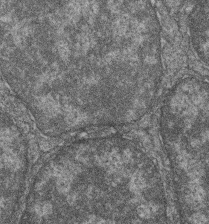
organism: Zebrafish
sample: Cilia; retinal pigment epithelium